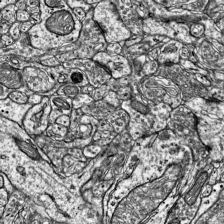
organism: Mouse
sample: Visual Cortex